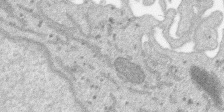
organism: Human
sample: Lung epithelial cells infected with SARS-CoV-2